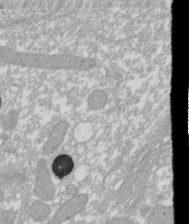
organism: Xenopus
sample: Cilia; centrioles in frog embryo cells